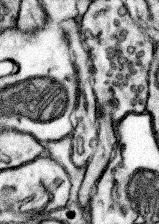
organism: Mouse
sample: Somatosensory cortex neuropil